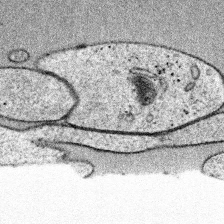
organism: Human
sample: HeLa cells